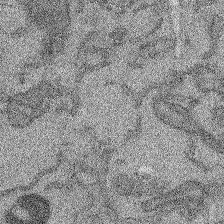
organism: Human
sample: HeLa cells